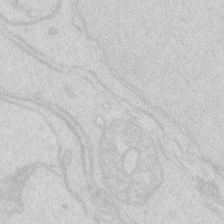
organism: Zebrafish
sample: Macrophage